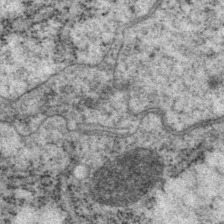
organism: P. pacificus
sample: Pharynx